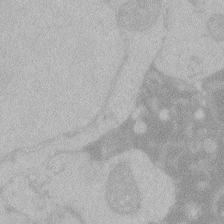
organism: Zebrafish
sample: Macrophage infected with Toxoplasma gondii